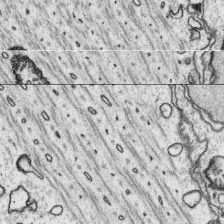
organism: Platynereis dumerilii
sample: Parapodia